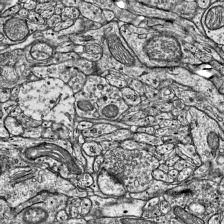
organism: Mouse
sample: Visual Cortex